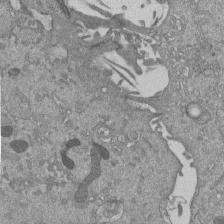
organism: Mouse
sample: ED-1 cell nuclei; centrioles